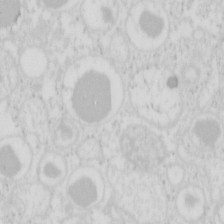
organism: Mouse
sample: Pancreas